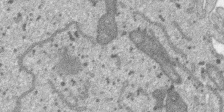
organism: Human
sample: Lung epithelial cells infected with SARS-CoV-2